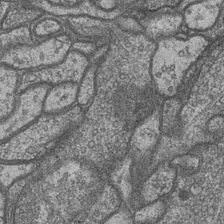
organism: Drosophila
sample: Optic medulla